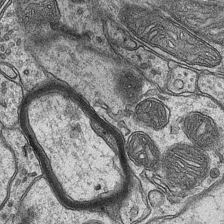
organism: Mouse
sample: CA1 Hippocampus